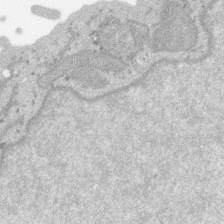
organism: Human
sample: Lung epithelial cells infected with SARS-CoV-2